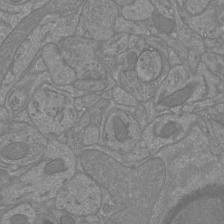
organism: Mouse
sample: Cortical neurons